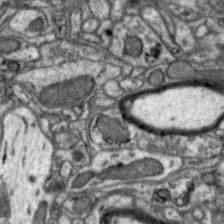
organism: Zebra finch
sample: Brain